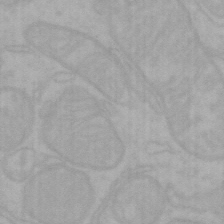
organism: Mouse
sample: Choroid plexus